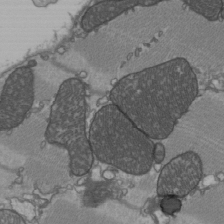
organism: C57BL Mouse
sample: Heart